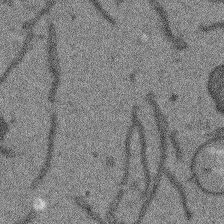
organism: Arabidopsis thaliana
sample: Root tip